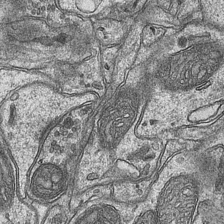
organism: Mouse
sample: CA1 Hippocampus